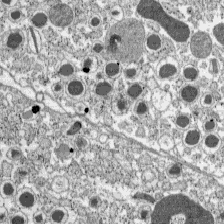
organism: C57BL Mouse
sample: Pancreatic islet